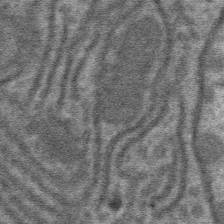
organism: Mouse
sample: Mouse hepatocytes